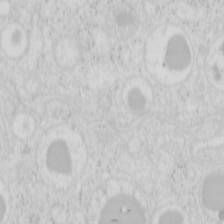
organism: Mouse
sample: Pancreas